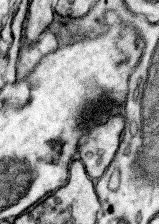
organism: Mouse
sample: Somatosensory cortex neuropil